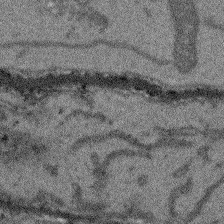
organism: Arabidopsis thaliana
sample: Root tip